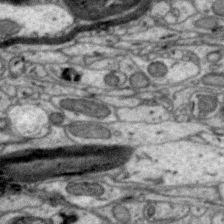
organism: Zebra finch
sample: Brain